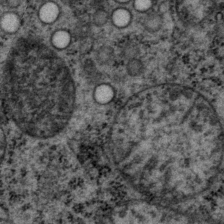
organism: P. pacificus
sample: Pharynx